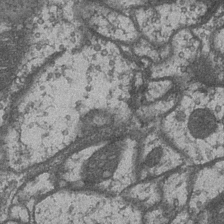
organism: Drosophila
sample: Optic medulla